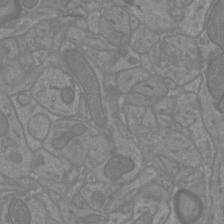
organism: Mouse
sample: Cortical neurons